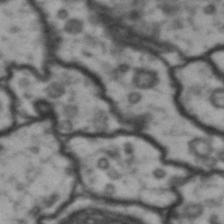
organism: Drosophila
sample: Brain